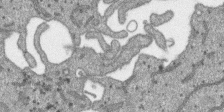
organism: Human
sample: Lung epithelial cells infected with SARS-CoV-2